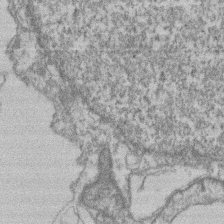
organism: Mouse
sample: T cell stromal cell synapse